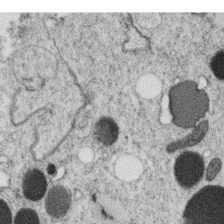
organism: C. elegans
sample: C. elegans oocyte; sperm cells